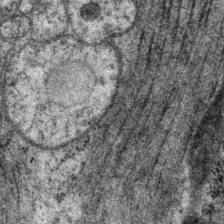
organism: P. pacificus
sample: Pharynx